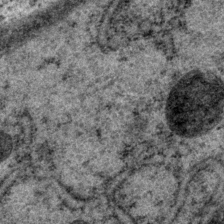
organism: P. pacificus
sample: Pharynx